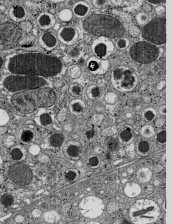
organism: C57BL Mouse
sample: Pancreatic islet